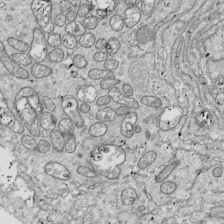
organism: Drosophila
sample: Cell division; meiosis; drosophila spermatocytes